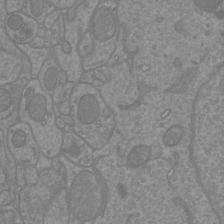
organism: Mouse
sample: Cortical neurons